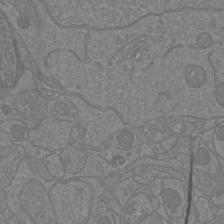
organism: Mouse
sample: Cortical neurons